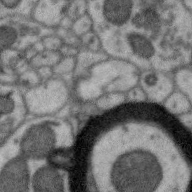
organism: Zebra finch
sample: Brain